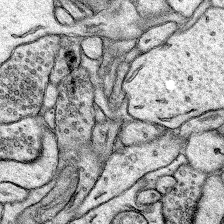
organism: Rat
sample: Hippocampus